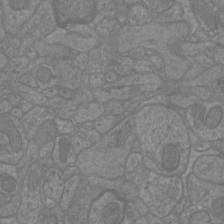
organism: Mouse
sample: Cortical neurons